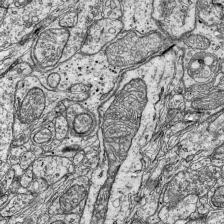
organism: Mouse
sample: Visual Cortex